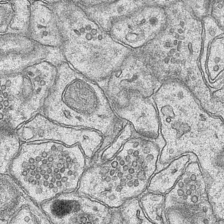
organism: Mouse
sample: CA1 Hippocampus